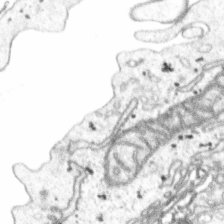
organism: Human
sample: HeLa cells